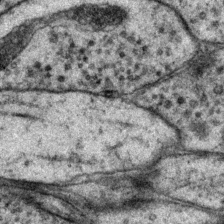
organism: P. pacificus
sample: Pharynx